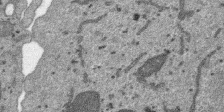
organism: Human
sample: Lung epithelial cells infected with SARS-CoV-2